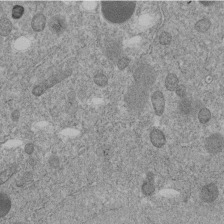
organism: C. elegans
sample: C. elegans embryo early stage